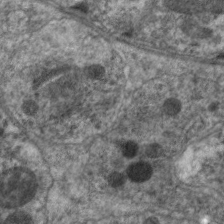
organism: C. elegans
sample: Pharynx